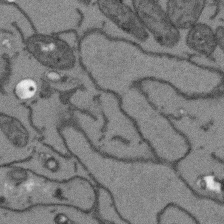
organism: Arabidopsis thaliana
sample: Root tip